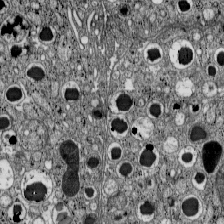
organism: C57BL Mouse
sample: Pancreatic islet